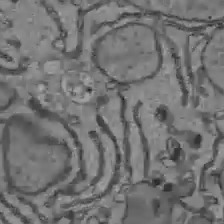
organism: C57BL Mouse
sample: Liver